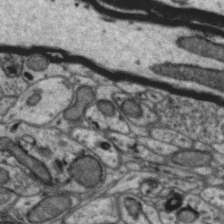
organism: Zebra finch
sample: Brain